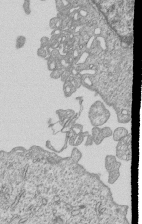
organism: Human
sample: MDA-MB-231 cells